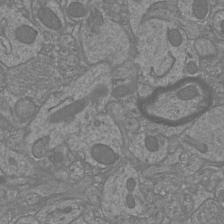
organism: Mouse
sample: Cortical neurons